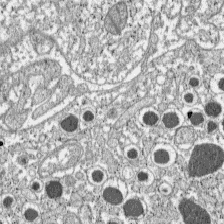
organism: C57BL Mouse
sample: Pancreatic islet